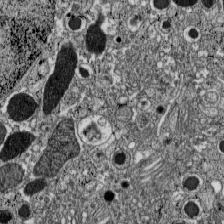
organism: C57BL Mouse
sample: Pancreatic islet